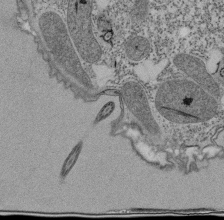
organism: Tetrahymena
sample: Cilia in tetrahymena